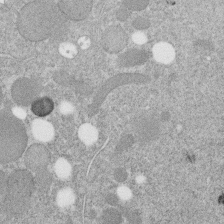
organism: C. elegans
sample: C. elegans embryo early stage